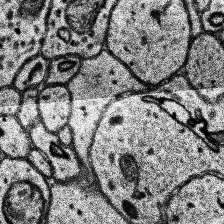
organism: Human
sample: Temporal Lobe